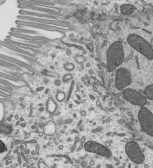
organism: Mouse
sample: Mouse epididymis efferent ductule cilia